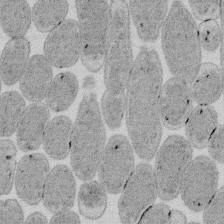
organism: E. coli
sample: Bacterial nucleoid